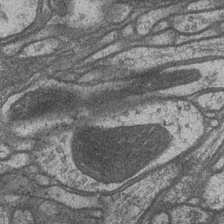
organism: Drosophila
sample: Optic medulla